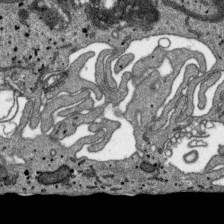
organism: Human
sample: Lung epithelial cells, uninfected (mock) control